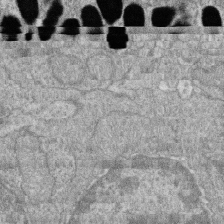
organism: Zebrafish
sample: Cilia; retinal pigment epithelium